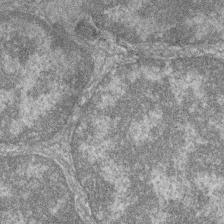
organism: Zebrafish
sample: Cilia; retinal pigment epithelium